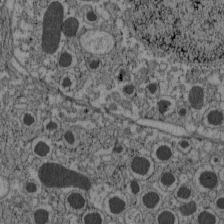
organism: C57BL Mouse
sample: Pancreatic islet